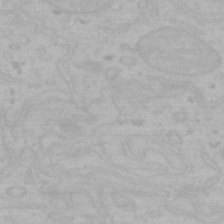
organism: Mouse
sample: Choroid plexus